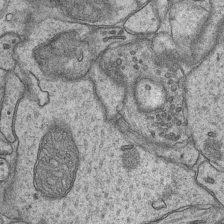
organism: Mouse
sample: CA1 Hippocampus